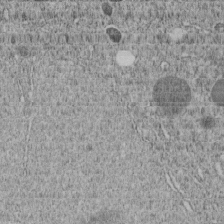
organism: C. elegans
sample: C. elegans embryo early stage